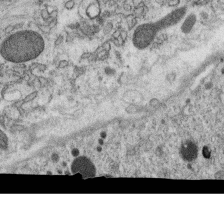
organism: C. elegans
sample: C. elegans oocyte; sperm cells